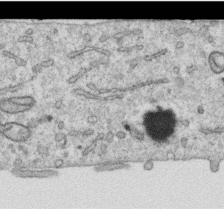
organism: Human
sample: Centriole in RPE cells